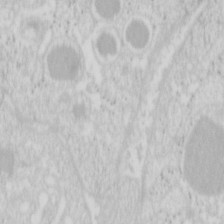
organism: Mouse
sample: Pancreas